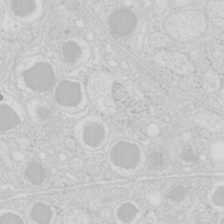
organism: Mouse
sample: Pancreas